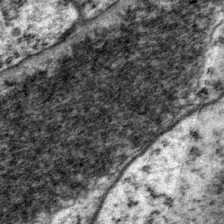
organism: P. pacificus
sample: Pharynx